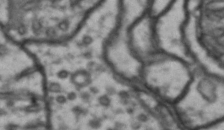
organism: Drosophila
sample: Brain